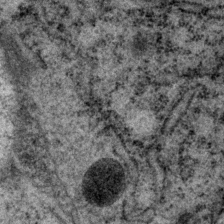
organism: P. pacificus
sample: Pharynx